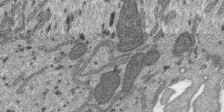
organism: Human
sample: Lung epithelial cells infected with SARS-CoV-2